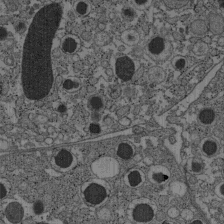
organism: C57BL Mouse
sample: Pancreatic islet